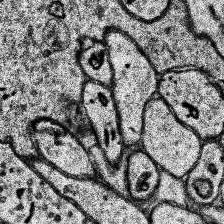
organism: Human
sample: Temporal Lobe